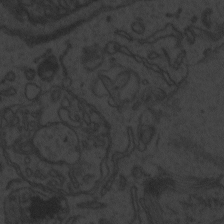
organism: Zebrafish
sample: Macrophage infected with Toxoplasma gondii